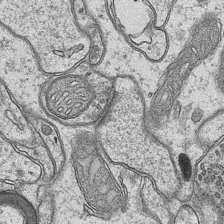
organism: Mouse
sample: CA1 Hippocampus